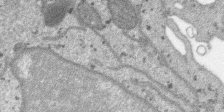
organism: Human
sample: Lung epithelial cells infected with SARS-CoV-2